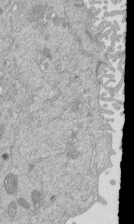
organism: Mouse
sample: ED-1 cell nuclei; centrioles